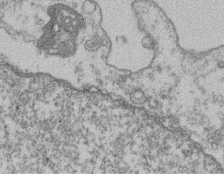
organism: Mouse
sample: T cell stromal cell synapse